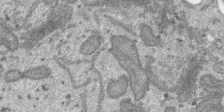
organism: Human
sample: Lung epithelial cells infected with SARS-CoV-2